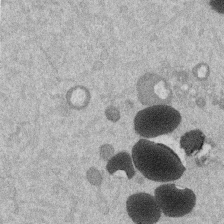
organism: Mouse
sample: Dividing mouse embryo 1 cell stage